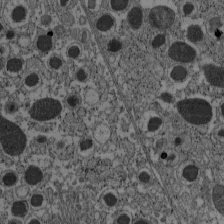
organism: C57BL Mouse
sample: Pancreatic islet